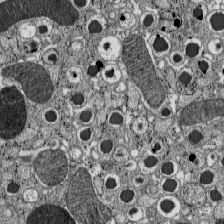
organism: C57BL Mouse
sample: Pancreatic islet